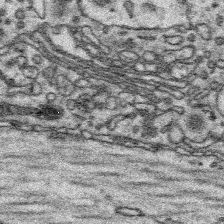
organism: Platynereis dumerilii